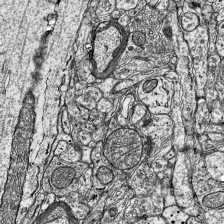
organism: Mouse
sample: Visual Cortex